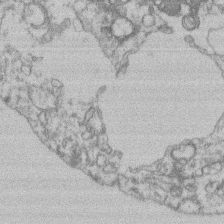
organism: Mouse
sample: T cell stromal cell synapse